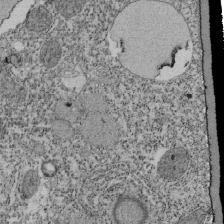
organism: Tetrahymena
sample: Cilia in tetrahymena